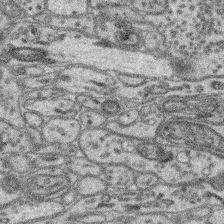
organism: Mouse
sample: Retina